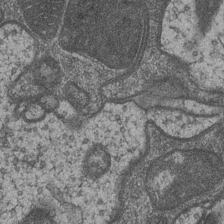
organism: Drosophila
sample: Optic medulla